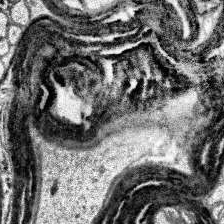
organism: Human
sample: Temporal Lobe